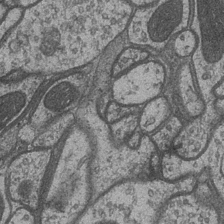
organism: Drosophila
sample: Optic medulla